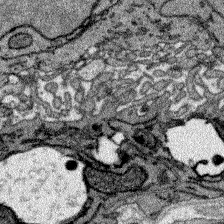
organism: Zebrafish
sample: Larval olfactory bulb